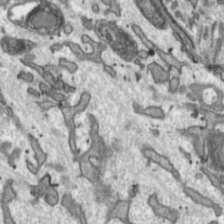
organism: Toxoplasma gondii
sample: Parasites in a vacuole inside a host cell